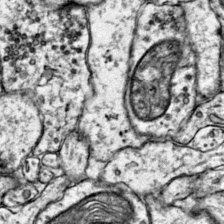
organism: Mouse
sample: Primary visual cortex